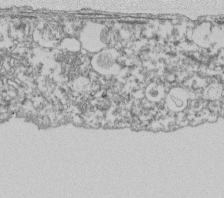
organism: Dictyostelium discoideum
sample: Dictyostelium multivesicular bodies